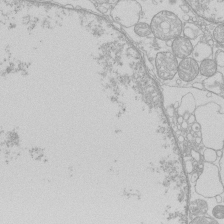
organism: Human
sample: Macrophage cells